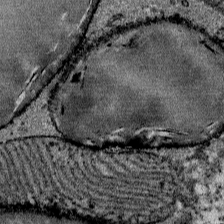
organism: Mouse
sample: Mouse Salivary gland